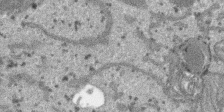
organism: Human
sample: Lung epithelial cells infected with SARS-CoV-2